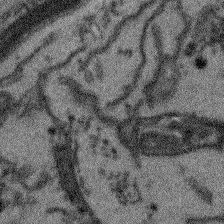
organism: Arabidopsis thaliana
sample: Root tip